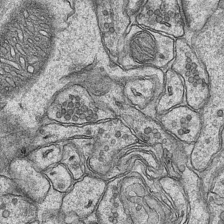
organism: Mouse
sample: CA1 Hippocampus